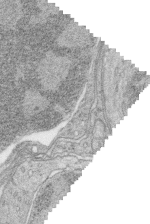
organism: Zebrafish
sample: synaptic ribbons in rod cells and cone cells